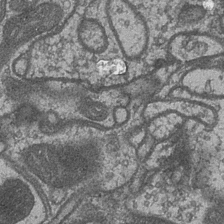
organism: Drosophila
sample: Optic medulla